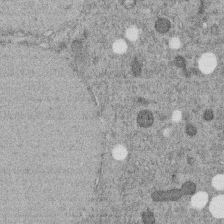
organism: C. elegans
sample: C. elegans embryo early stage